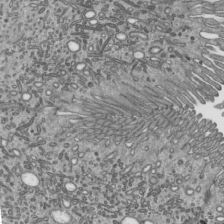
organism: Mouse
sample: Mouse epididymis efferent ductule cilia